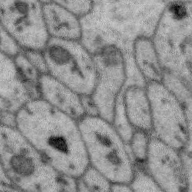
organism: Zebra finch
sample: Brain